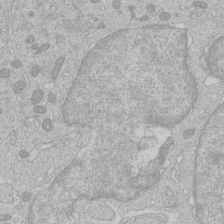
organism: Human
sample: Macrophage cells